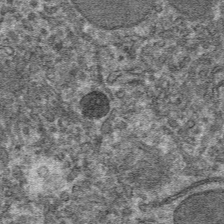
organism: Mouse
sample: Mouse hepatocytes